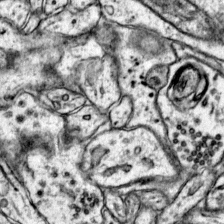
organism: Mouse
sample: Primary visual cortex